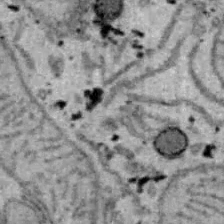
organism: Mouse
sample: Liver from an obese (ob/ob) mouse